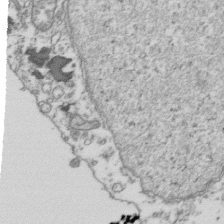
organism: Human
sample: Activated Jurkat CD4+ T cells